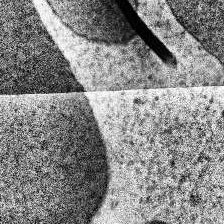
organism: Human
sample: Temporal Lobe